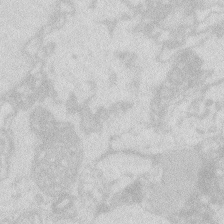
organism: Zebrafish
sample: Macrophage